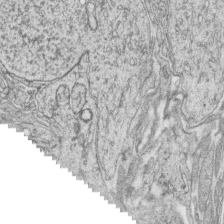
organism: Zebrafish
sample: synaptic ribbons in rod cells and cone cells